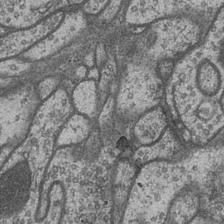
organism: Drosophila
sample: Optic medulla